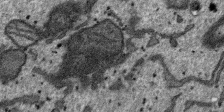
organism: Human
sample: Lung epithelial cells, uninfected (mock) control